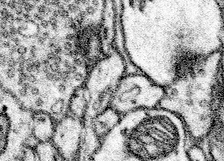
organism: Mouse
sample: Somatosensory cortex neuropil